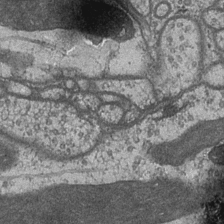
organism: Drosophila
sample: Optic medulla